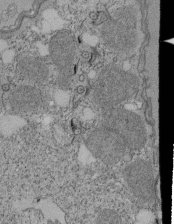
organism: Tetrahymena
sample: Cilia in tetrahymena